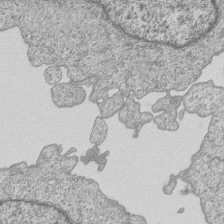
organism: Human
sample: MDA-MB-231 cells